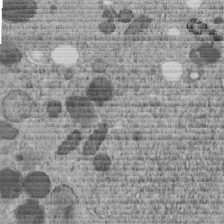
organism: C. elegans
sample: C. elegans embryo early stage